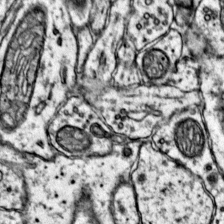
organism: Mouse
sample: Primary visual cortex